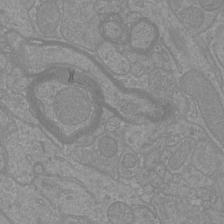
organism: Mouse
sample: Cortical neurons